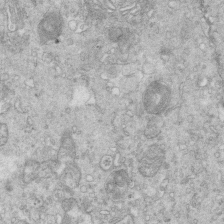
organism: Mouse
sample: Multiciliated cells